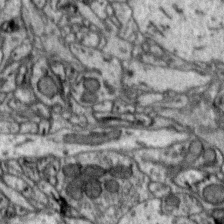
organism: Zebra finch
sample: Brain